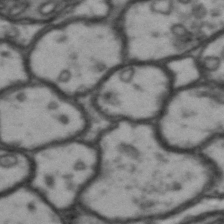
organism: Drosophila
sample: Brain